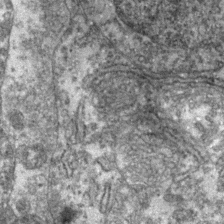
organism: Zebrafish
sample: Zebrafish embryo